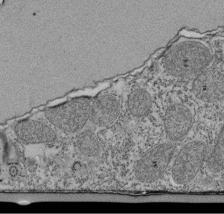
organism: Tetrahymena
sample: Cilia in tetrahymena